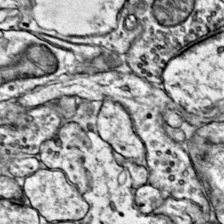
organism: Mouse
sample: Primary visual cortex